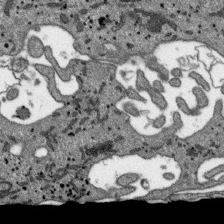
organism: Human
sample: Lung epithelial cells, uninfected (mock) control